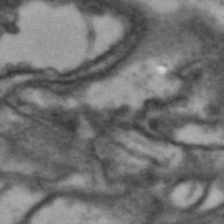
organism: Drosophila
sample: Brain